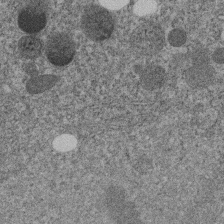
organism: C. elegans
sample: C. elegans embryo early stage